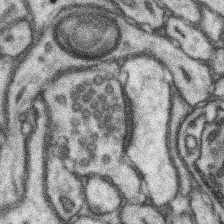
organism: Mouse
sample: Somatosensory cortex neuropil